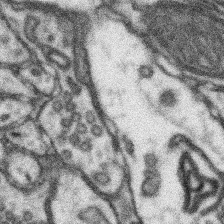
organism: Mouse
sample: Somatosensory cortex neuropil